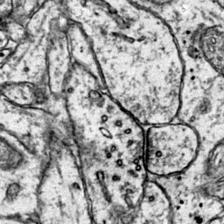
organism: Mouse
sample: Primary visual cortex